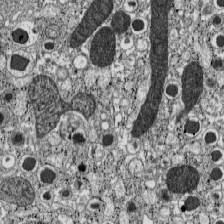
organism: C57BL Mouse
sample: Pancreatic islet